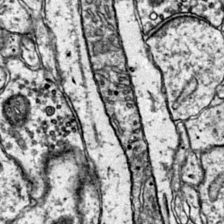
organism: Mouse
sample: Primary visual cortex